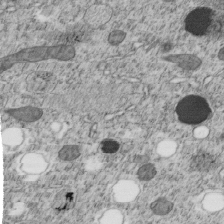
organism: C. elegans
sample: C. elegans embryo early stage